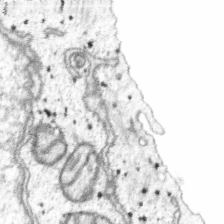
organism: Human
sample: HeLa cells